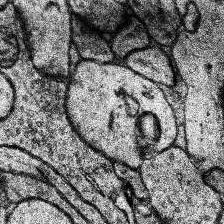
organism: Human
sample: Temporal Lobe